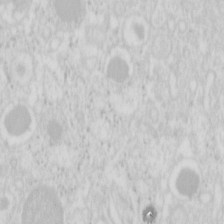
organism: Mouse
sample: Pancreas